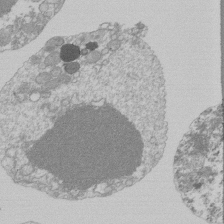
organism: Mouse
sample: Activated Pmel transgenic CD8+ T Cells